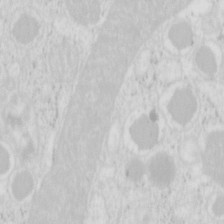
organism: Mouse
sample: Pancreas